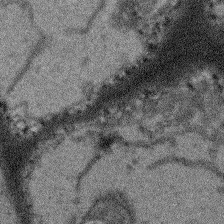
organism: Arabidopsis thaliana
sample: Root tip